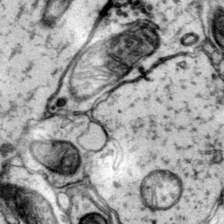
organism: Mouse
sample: Primary visual cortex